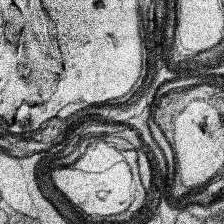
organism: Human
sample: Temporal Lobe